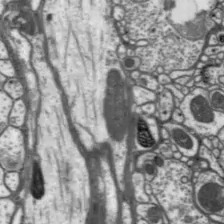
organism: Drosophila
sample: Protocerebral bridge